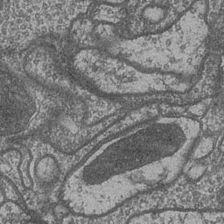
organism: Drosophila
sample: Optic medulla